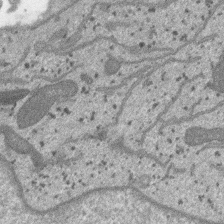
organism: Human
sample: Lung epithelial cells infected with SARS-CoV-2